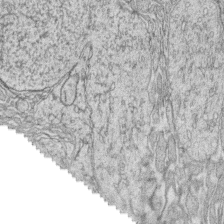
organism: Zebrafish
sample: synaptic ribbons in rod cells and cone cells